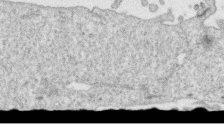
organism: Human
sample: HeLa cell HIV synapse